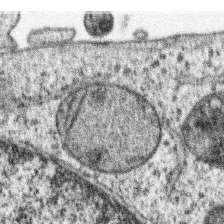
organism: Human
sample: HeLa cells